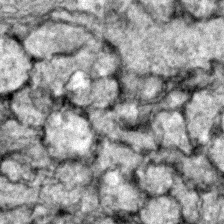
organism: Zebrafish